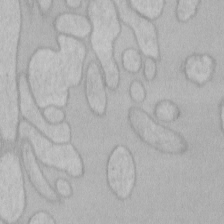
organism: Human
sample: HeLa cells